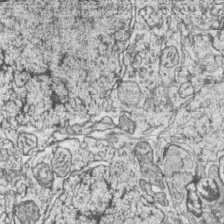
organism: Zebrafish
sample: synaptic ribbons in rod cells and cone cells